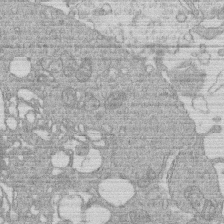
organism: Human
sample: Macrophage cells